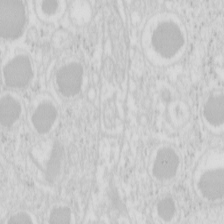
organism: Mouse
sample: Pancreas